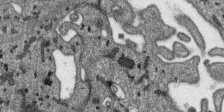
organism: Human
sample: Lung epithelial cells infected with SARS-CoV-2